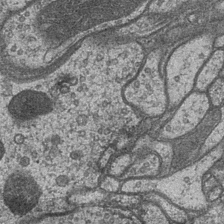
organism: Drosophila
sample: Optic medulla